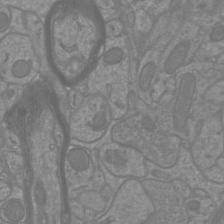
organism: Mouse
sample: Cortical neurons